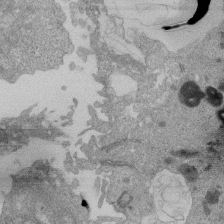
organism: Human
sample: Retinal organoid Rod and Cone cells